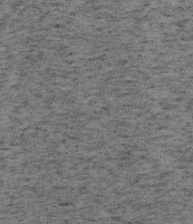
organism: Mouse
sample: OT-I killer T cells with ID8 ovarian cancer cells